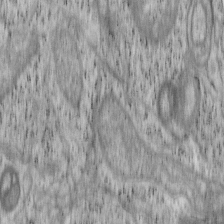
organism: Human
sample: HeLa cells